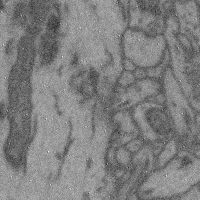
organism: Mouse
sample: Cerebral cortex